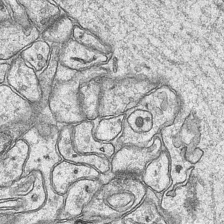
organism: Mouse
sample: CA1 Hippocampus